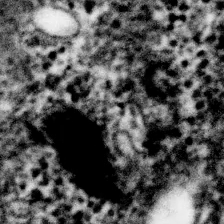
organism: Human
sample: HCT116 cells